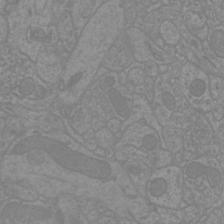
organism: Mouse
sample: Cortical neurons